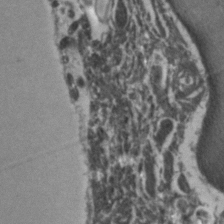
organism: Zebrafish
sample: Zebrafish embryo